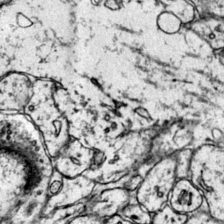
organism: Mouse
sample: Primary visual cortex